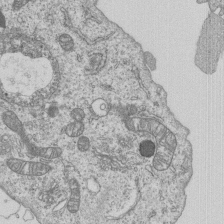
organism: Human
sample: MDA-MB-231 cells